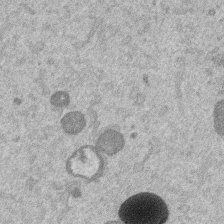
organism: Mouse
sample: Dividing mouse embryo 1 cell stage